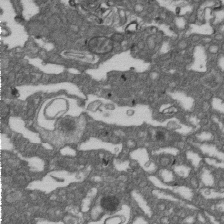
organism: Drosophila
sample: Nephrocyte